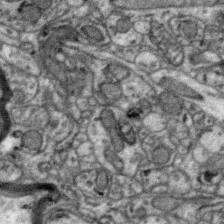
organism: Zebra finch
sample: Brain